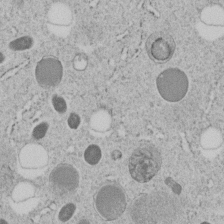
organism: C. elegans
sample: C. elegans embryo early stage